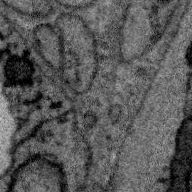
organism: Zebra finch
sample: Brain